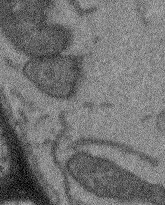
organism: Arabidopsis thaliana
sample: Root tip